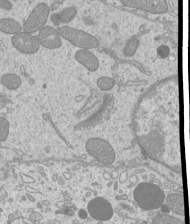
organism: Mouse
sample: Cilia; mouse epididymis